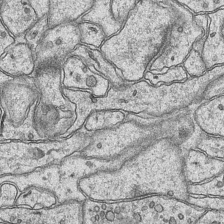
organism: Mouse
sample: CA1 Hippocampus